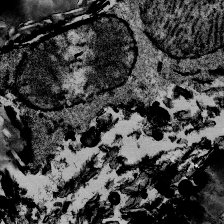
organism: Mouse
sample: Mouse Salivary gland